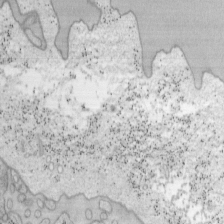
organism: Mouse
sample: OT-I killer T cells with ID8 ovarian cancer cells